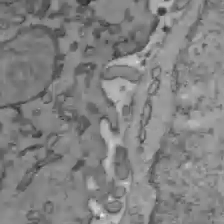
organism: C57BL Mouse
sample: Liver